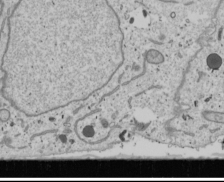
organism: Human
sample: Mitochondria in U2OS cells